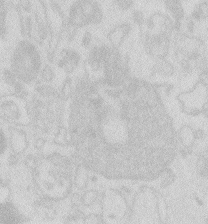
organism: Zebrafish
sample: Macrophage